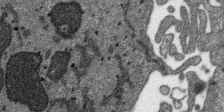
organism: Human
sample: Lung epithelial cells infected with SARS-CoV-2